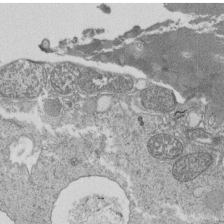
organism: Tetrahymena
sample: Cilia in tetrahymena